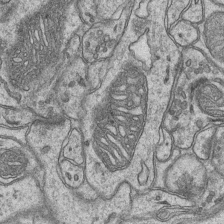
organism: Mouse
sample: CA1 Hippocampus